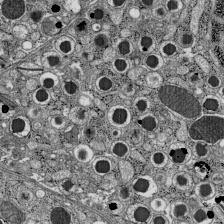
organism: C57BL Mouse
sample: Pancreatic islet